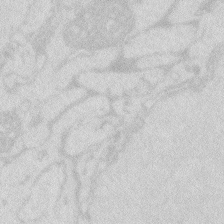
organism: Zebrafish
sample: Macrophage